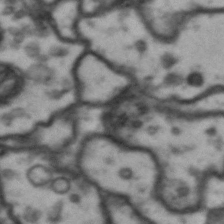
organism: Drosophila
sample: Brain